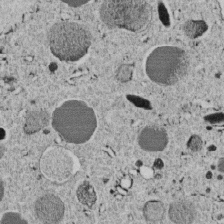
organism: C. elegans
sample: C. elegans embryo early stage